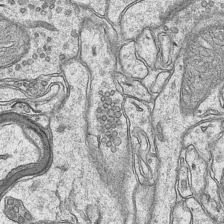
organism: Mouse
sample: CA1 Hippocampus